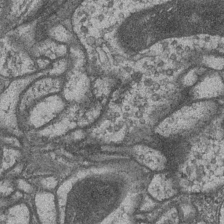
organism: Drosophila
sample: Optic medulla